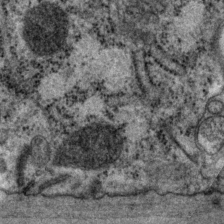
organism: P. pacificus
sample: Pharynx